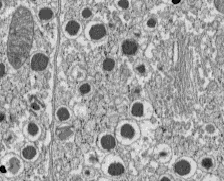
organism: C57BL Mouse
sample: Pancreatic islet